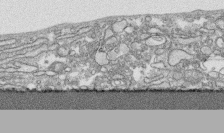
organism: Human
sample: CRL-1474